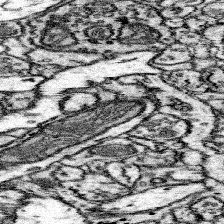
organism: Mouse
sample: Somatosensory cortex neuropil